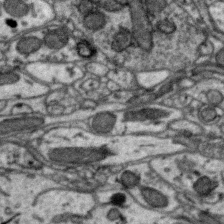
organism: Zebra finch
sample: Brain